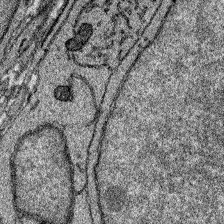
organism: Zebrafish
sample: Larval olfactory bulb